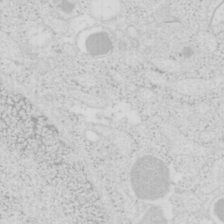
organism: Mouse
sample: Pancreas